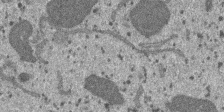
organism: Human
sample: Lung epithelial cells infected with SARS-CoV-2